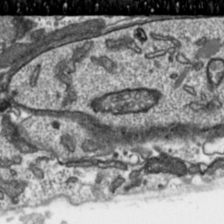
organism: Toxoplasma gondii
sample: Parasites in a vacuole inside a host cell